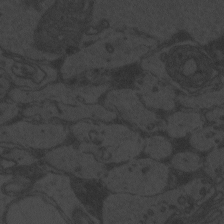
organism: Zebrafish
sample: Macrophage infected with Toxoplasma gondii